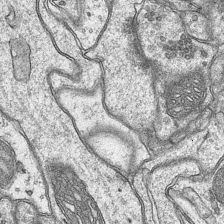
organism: Mouse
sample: CA1 Hippocampus